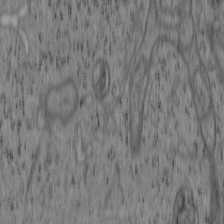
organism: Human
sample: HeLa cells